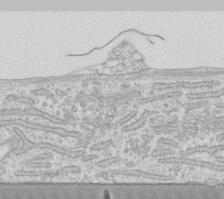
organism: Human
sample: Fibroblast cells